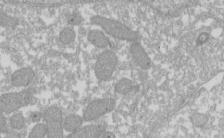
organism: Xenopus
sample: Cilia; centrioles in frog embryo cells